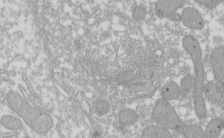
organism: Xenopus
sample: Cilia; centrioles in frog embryo cells